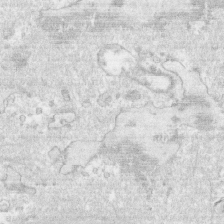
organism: Human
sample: CRL-1474